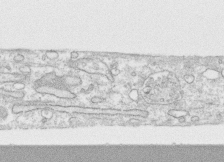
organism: Human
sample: CRL-1474